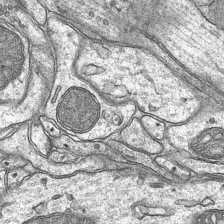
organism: Mouse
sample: CA1 Hippocampus